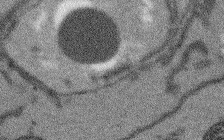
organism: Arabidopsis thaliana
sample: Root tip